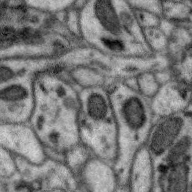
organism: Zebra finch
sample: Brain